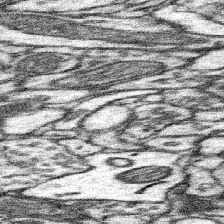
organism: Mouse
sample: Somatosensory cortex neuropil